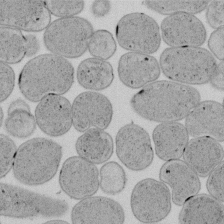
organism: E. coli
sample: Bacterial nucleoid